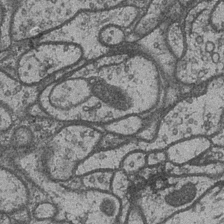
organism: Drosophila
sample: Optic medulla